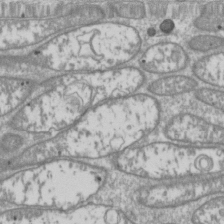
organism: Drosophila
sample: Cell division; meiosis; drosophila spermatocytes